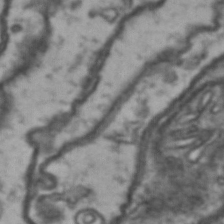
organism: Drosophila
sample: Brain